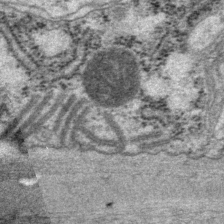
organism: P. pacificus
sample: Pharynx